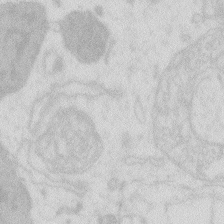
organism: Zebrafish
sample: Macrophage